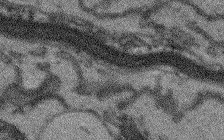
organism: Arabidopsis thaliana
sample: Root tip